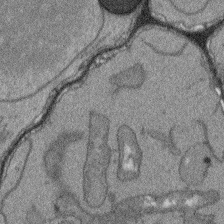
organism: Arabidopsis thaliana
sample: Root tip